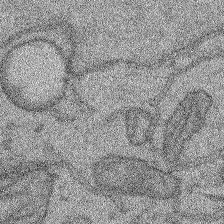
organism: Human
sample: HeLa cells